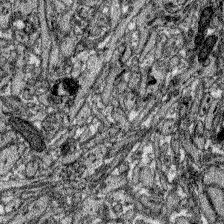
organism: Zebrafish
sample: Larval olfactory bulb